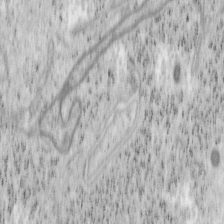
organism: Human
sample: HeLa cells